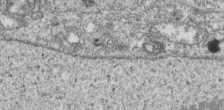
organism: Human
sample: HeLa cell HIV synapse